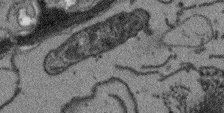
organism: Arabidopsis thaliana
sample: Root tip